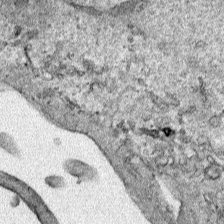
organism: Human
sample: Mitochondria in HCT116 cells